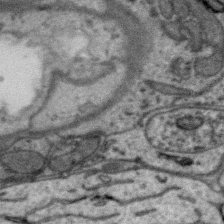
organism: Zebra finch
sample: Brain